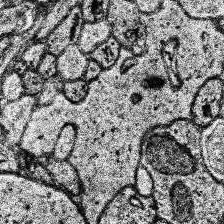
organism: Human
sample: Temporal Lobe